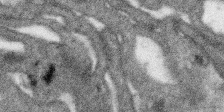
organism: Human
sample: Lung epithelial cells infected with SARS-CoV-2